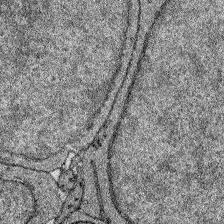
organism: Zebrafish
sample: Larval olfactory bulb